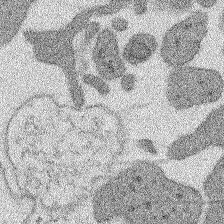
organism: Human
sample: HeLa cells